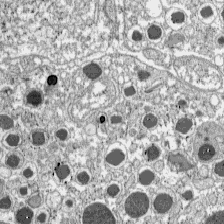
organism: C57BL Mouse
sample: Pancreatic islet